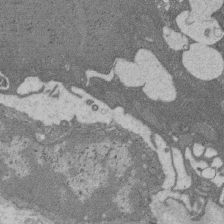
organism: Rat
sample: Salivary granule